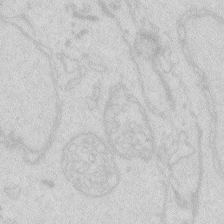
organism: Zebrafish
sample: Macrophage